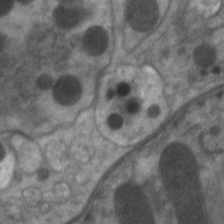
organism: C. elegans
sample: Pharynx